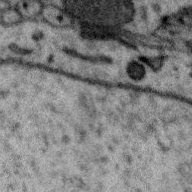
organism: Zebra finch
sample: Brain